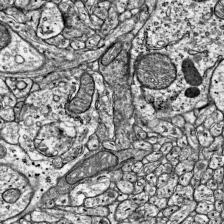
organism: Mouse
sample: Visual Cortex